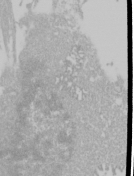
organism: Mouse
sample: Cancer cell death in ED-1 cells